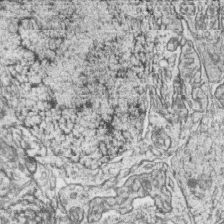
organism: Zebrafish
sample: synaptic ribbons in rod cells and cone cells